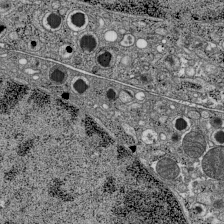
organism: C57BL Mouse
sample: Pancreatic islet